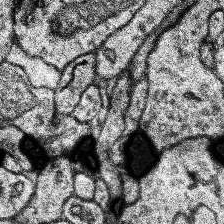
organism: Human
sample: Temporal Lobe